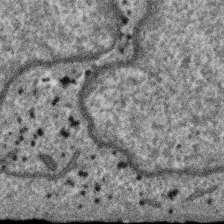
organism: Human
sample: Lung epithelial cells infected with SARS-CoV-2